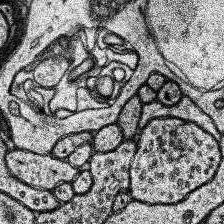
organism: Human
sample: Temporal Lobe